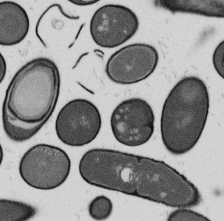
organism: B. subtilis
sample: Bacterial spore